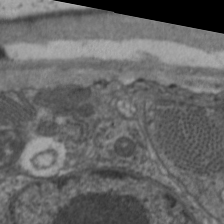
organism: C. elegans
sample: Pharynx